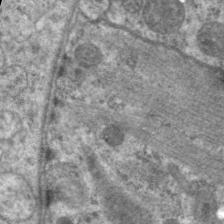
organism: C. elegans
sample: Pharynx